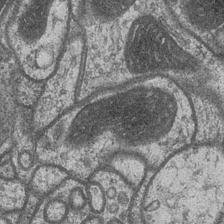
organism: Drosophila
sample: Optic medulla